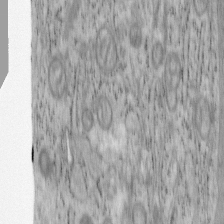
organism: Human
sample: HeLa cells